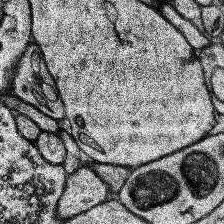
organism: Human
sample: Temporal Lobe